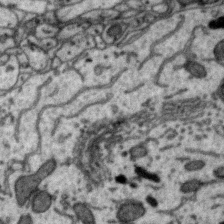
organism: Zebra finch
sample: Brain